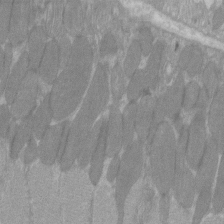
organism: C57BL Mouse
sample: Tibialis anterior muscle cell